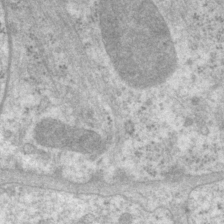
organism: P. pacificus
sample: Pharynx